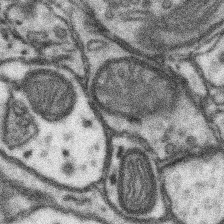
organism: Mouse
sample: Somatosensory cortex neuropil